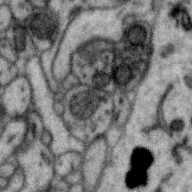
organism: Zebra finch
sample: Brain